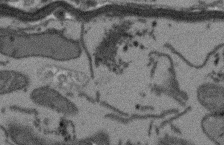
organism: Arabidopsis thaliana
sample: Root tip